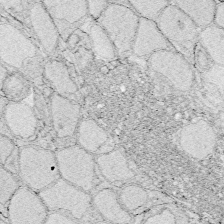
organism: Zebrafish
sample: Whole-Brain